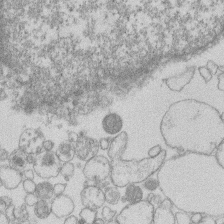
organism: Human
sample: Macrophage cells